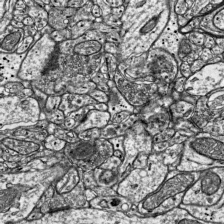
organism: Mouse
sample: Visual Cortex